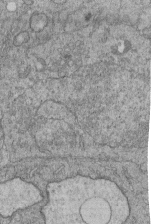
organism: Human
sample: Retinal organoid Rod and Cone cells